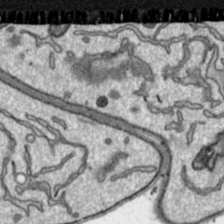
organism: Toxoplasma gondii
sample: Parasites in a vacuole inside a host cell